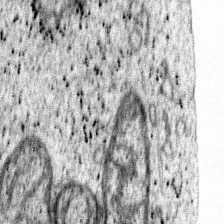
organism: Human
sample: HeLa cells